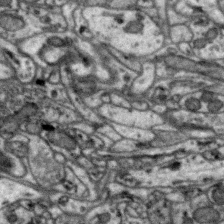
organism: Zebra finch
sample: Brain